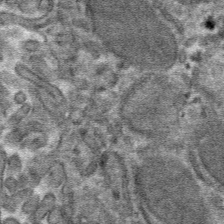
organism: Mouse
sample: Mouse hepatocytes